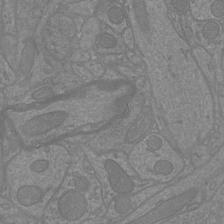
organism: Mouse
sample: Cortical neurons